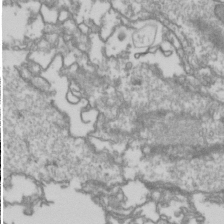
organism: Drosophila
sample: Cell division; meiosis; drosophila spermatocytes